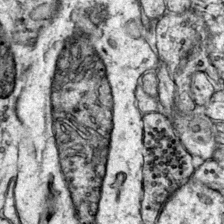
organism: Mouse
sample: Primary visual cortex